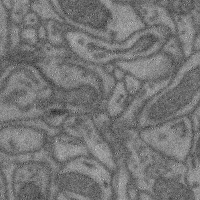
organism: Mouse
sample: Cerebral cortex